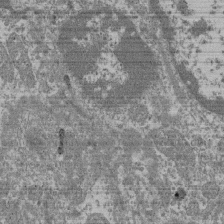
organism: Mouse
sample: Glomerulus